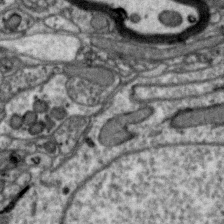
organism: Zebra finch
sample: Brain